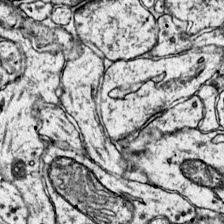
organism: Mouse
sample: Primary visual cortex